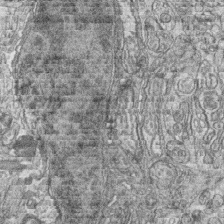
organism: Zebrafish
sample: synaptic ribbons in rod cells and cone cells